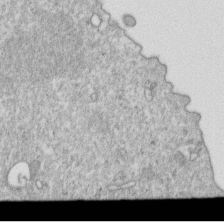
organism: Mouse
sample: Activated OT-1 CD8+ T cells